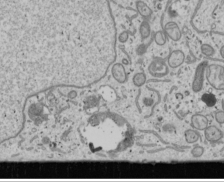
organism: Human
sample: Mitochondria in U2OS cells